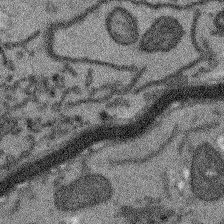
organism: Arabidopsis thaliana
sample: Root tip